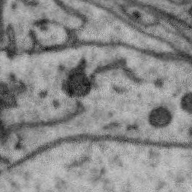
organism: Zebra finch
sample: Brain